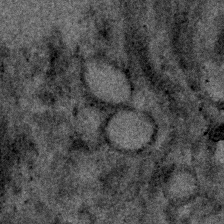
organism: Human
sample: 1205lu cells